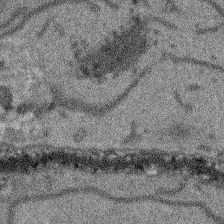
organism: Arabidopsis thaliana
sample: Root tip